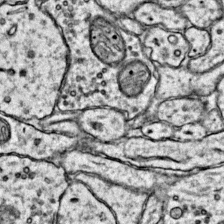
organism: Mouse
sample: Primary visual cortex